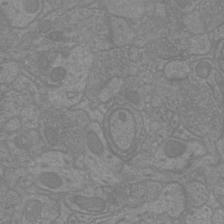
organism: Mouse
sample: Cortical neurons